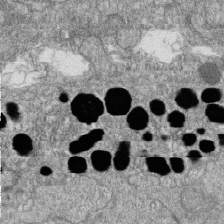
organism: Zebrafish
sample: Cilia; retinal pigment epithelium